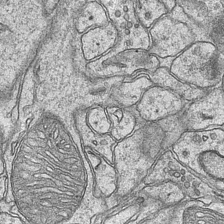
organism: Mouse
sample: CA1 Hippocampus